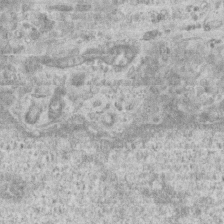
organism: Mouse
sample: Centriole in ependymal cells